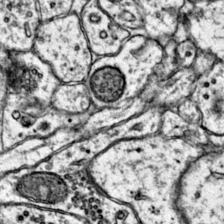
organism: Mouse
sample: Primary visual cortex